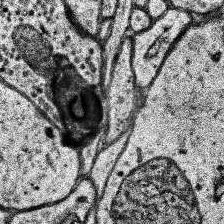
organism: Human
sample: Temporal Lobe